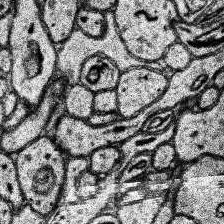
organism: Human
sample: Temporal Lobe